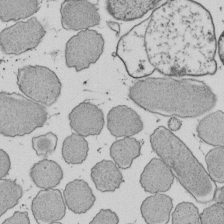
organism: E. coli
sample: Bacterial nucleoid